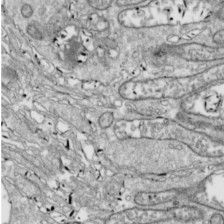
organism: Drosophila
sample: Cell division; meiosis; drosophila spermatocytes